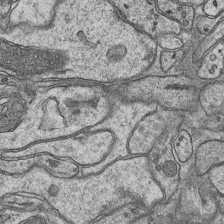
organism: Mouse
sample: CA1 Hippocampus